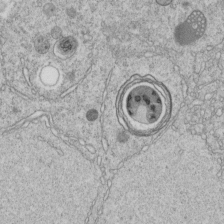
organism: C. elegans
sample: C. elegans embryo early stage